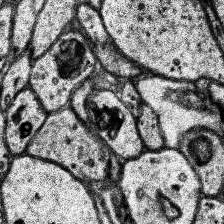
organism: Human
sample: Temporal Lobe